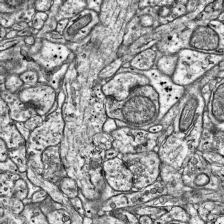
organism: Mouse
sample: Visual Cortex